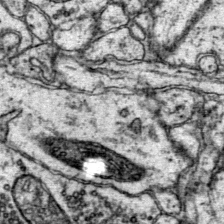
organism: Mouse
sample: Primary visual cortex